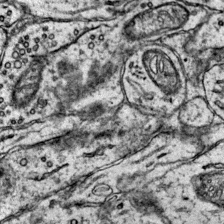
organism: Mouse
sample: Primary visual cortex